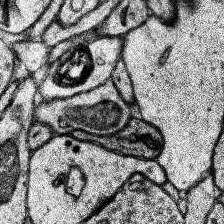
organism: Human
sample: Temporal Lobe